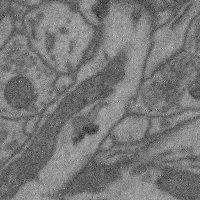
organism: Mouse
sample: Cerebral cortex